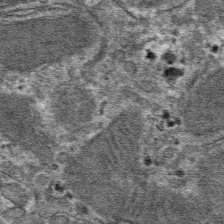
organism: Mouse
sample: Mouse hepatocytes